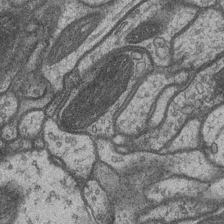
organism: Drosophila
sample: Optic medulla